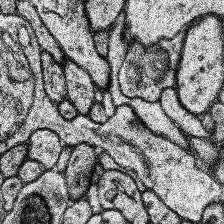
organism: Human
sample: Temporal Lobe